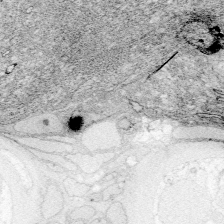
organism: Zebrafish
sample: Whole-Brain